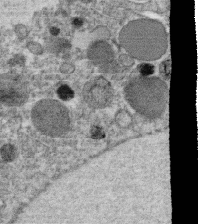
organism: C. elegans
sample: C. elegans oocyte; sperm cells